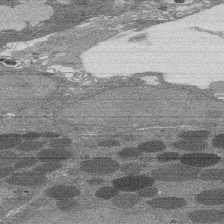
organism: Rat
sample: Salivary granule